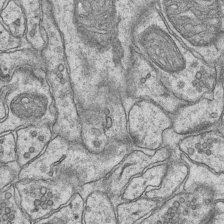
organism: Mouse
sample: CA1 Hippocampus